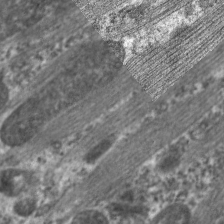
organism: C. elegans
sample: Pharynx